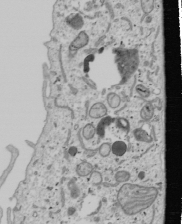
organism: Human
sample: Mitochondria in U2OS cells